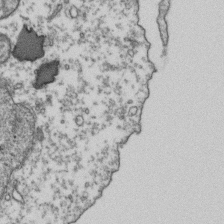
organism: Human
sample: Activated Jurkat CD4+ T cells